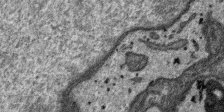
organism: Human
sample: Lung epithelial cells, uninfected (mock) control